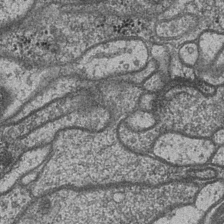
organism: Drosophila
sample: Optic medulla